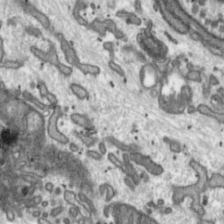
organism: Toxoplasma gondii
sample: Parasites in a vacuole inside a host cell